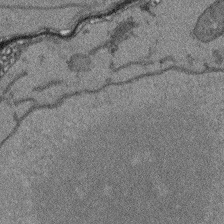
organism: Arabidopsis thaliana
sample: Root tip